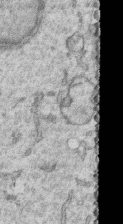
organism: Human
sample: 1205lu cells